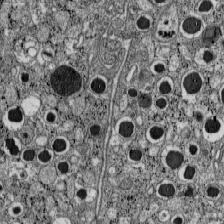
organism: C57BL Mouse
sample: Pancreatic islet